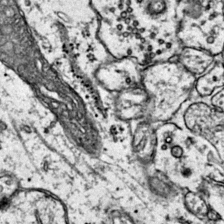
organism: Mouse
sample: Primary visual cortex